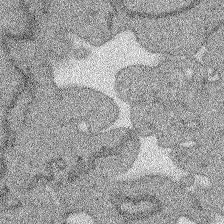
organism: Human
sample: HeLa cells